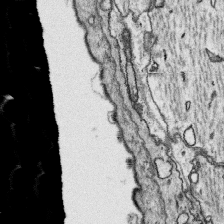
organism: Platynereis dumerilii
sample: Parapodia